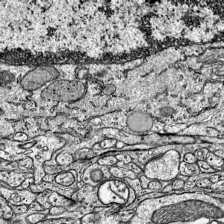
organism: Mouse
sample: Visual Cortex